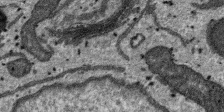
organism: Human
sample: Lung epithelial cells, uninfected (mock) control